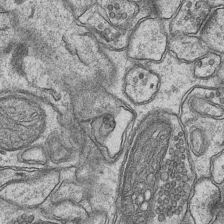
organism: Mouse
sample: CA1 Hippocampus